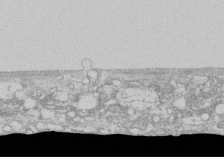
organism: Human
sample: CRL-1474